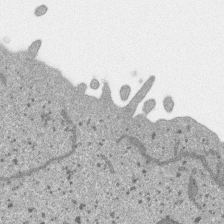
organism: Human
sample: Lung epithelial cells infected with SARS-CoV-2